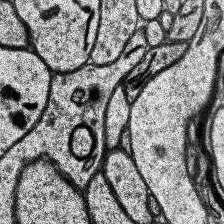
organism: Human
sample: Temporal Lobe